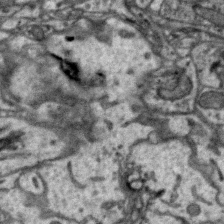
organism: Zebra finch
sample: Brain